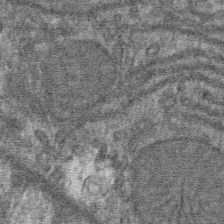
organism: Mouse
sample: Mouse hepatocytes